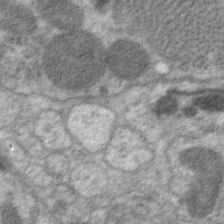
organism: C. elegans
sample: Pharynx